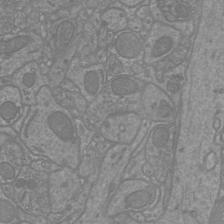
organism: Mouse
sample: Cortical neurons